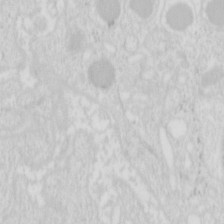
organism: Mouse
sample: Pancreas